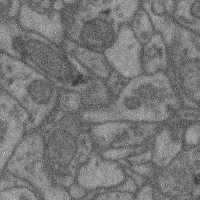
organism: Mouse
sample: Cerebral cortex